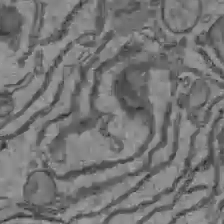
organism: C57BL Mouse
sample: Liver